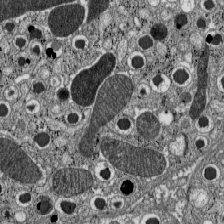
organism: C57BL Mouse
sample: Pancreatic islet